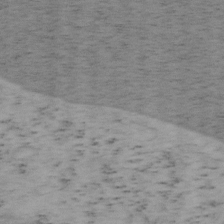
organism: Mouse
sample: OT-I killer T cells with ID8 ovarian cancer cells